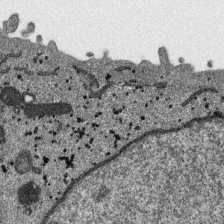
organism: Human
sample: Lung epithelial cells infected with SARS-CoV-2